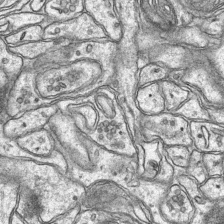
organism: Mouse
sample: CA1 Hippocampus